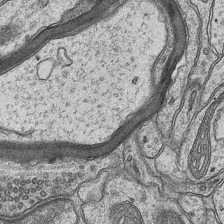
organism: Mouse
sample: CA1 Hippocampus